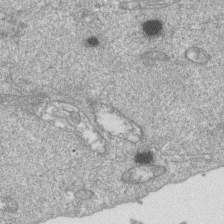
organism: Human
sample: HeLa cell HIV synapse